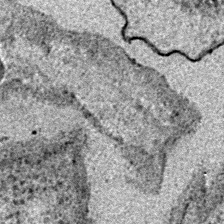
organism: E. coli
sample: E. Coli Bacteria